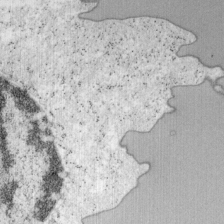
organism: Mouse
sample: OT-I killer T cells with ID8 ovarian cancer cells